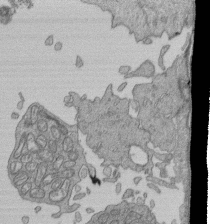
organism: Human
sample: Retinal organoid Rod and Cone cells